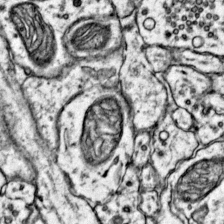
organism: Mouse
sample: Primary visual cortex